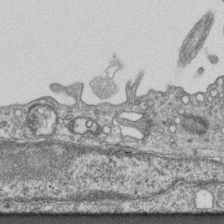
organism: Mouse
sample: Centriole in ependymal cells